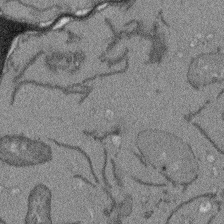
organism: Arabidopsis thaliana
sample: Root tip